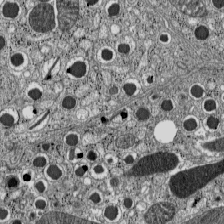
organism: C57BL Mouse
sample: Pancreatic islet